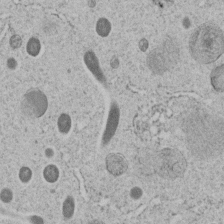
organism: C. elegans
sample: C. elegans embryo early stage